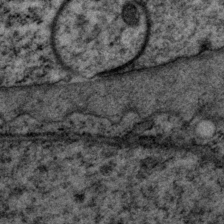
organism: P. pacificus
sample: Pharynx